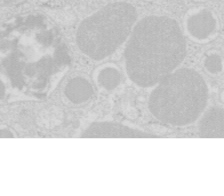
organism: Mouse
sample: Pancreas